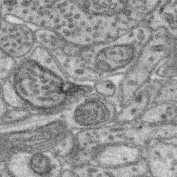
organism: Mouse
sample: Retina